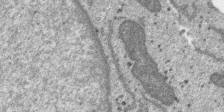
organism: Human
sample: Lung epithelial cells infected with SARS-CoV-2